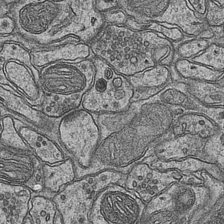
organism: Mouse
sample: CA1 Hippocampus